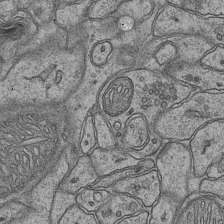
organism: Mouse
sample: CA1 Hippocampus